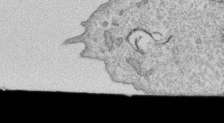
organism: Human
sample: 1205lu cells